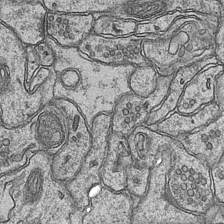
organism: Mouse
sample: CA1 Hippocampus